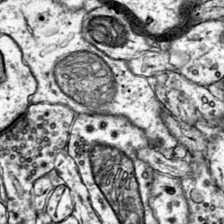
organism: Mouse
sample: Primary visual cortex